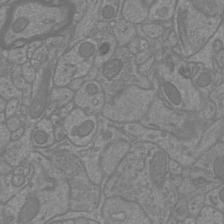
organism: Mouse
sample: Cortical neurons